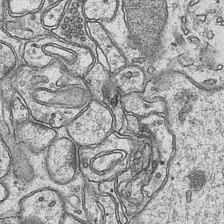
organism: Mouse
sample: CA1 Hippocampus